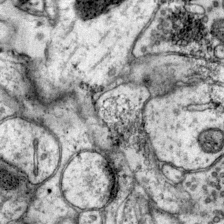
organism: Mouse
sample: Primary visual cortex